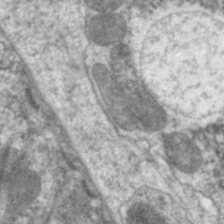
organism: C. elegans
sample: Pharynx